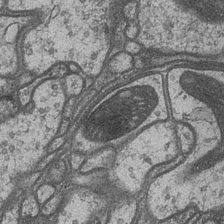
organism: Drosophila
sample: Optic medulla